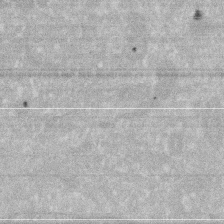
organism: Human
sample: HIV infected U937 cells